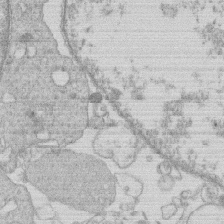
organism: Human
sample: Macrophage cells